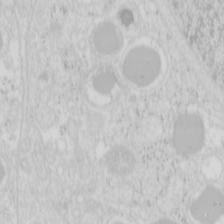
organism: Mouse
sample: Pancreas